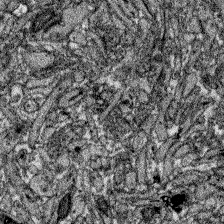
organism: Zebrafish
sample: Larval olfactory bulb